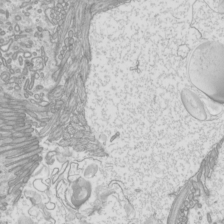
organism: Mouse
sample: Cilia; mouse epididymis